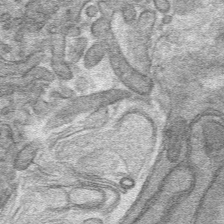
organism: Mouse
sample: Mouse hepatocytes